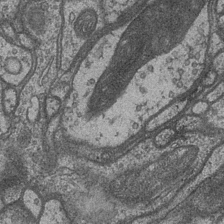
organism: Drosophila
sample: Optic medulla